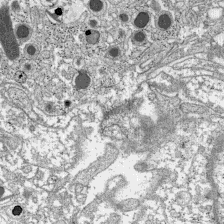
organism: C57BL Mouse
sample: Pancreatic islet